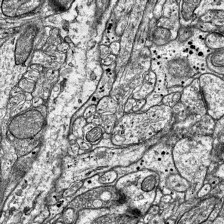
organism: Mouse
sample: Visual Cortex